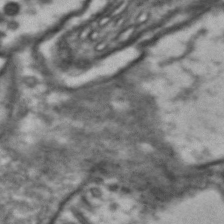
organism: Drosophila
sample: Brain